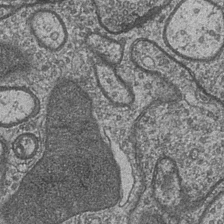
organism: Drosophila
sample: Optic medulla